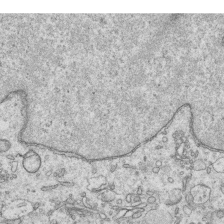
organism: Human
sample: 1205lu cells